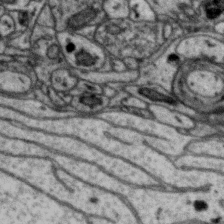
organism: Zebra finch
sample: Brain